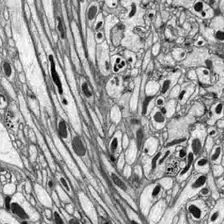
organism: Drosophila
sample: Optic lobe